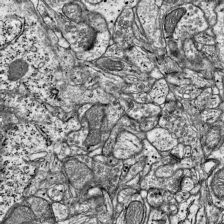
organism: Mouse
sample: Visual Cortex